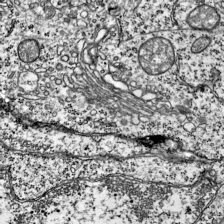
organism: Mouse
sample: Visual Cortex